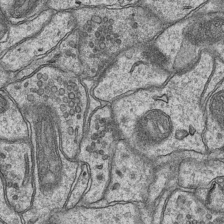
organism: Mouse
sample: CA1 Hippocampus